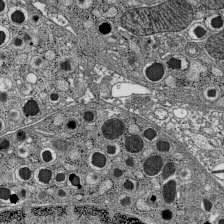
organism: C57BL Mouse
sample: Pancreatic islet